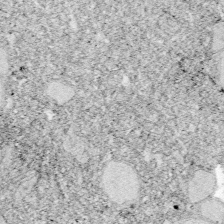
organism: Zebrafish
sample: Whole-Brain